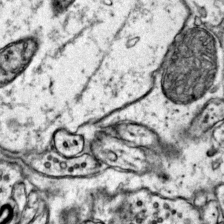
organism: Mouse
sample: Primary visual cortex